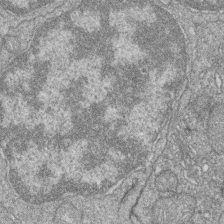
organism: Zebrafish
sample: Cilia; retinal pigment epithelium